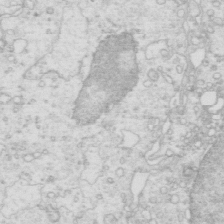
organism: Mouse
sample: Multiciliated cells